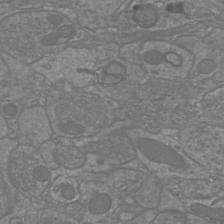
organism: Mouse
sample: Cortical neurons